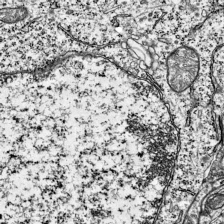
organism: Mouse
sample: Visual Cortex